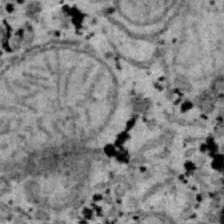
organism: Mouse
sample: Liver from an obese (ob/ob) mouse